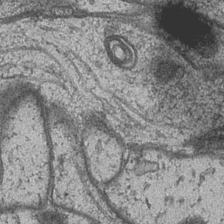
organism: Drosophila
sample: Optic medulla